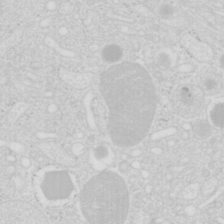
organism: Mouse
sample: Pancreas